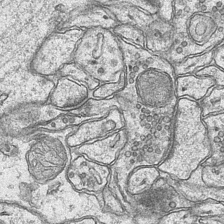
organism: Mouse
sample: CA1 Hippocampus